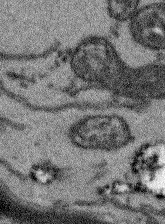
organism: Arabidopsis thaliana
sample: Root tip